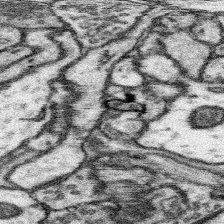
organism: Mouse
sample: Somatosensory cortex neuropil